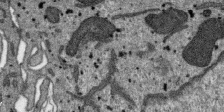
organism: Human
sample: Lung epithelial cells, uninfected (mock) control